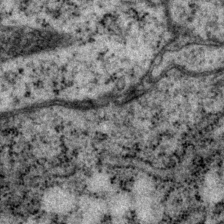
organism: P. pacificus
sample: Pharynx